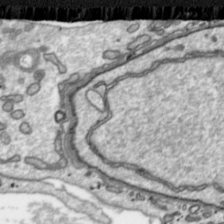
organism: Toxoplasma gondii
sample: Parasites in a vacuole inside a host cell